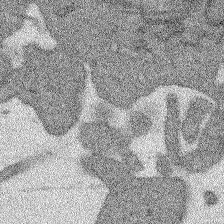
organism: Human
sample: HeLa cells